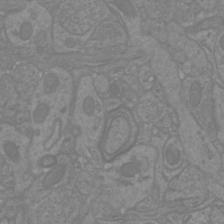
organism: Mouse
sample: Cortical neurons